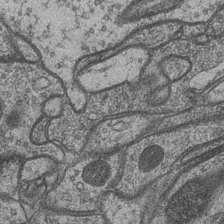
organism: Drosophila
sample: Optic medulla